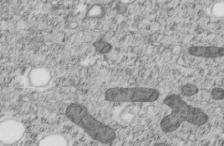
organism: C. elegans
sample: C. elegans embryo early stage